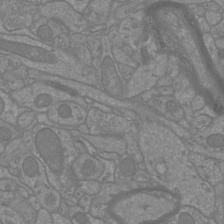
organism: Mouse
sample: Cortical neurons